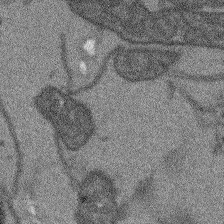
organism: Arabidopsis thaliana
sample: Root tip